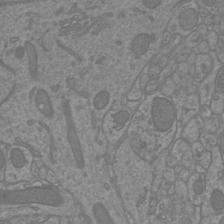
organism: Mouse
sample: Cortical neurons